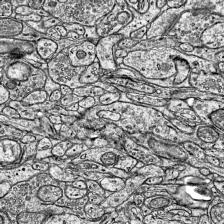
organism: Mouse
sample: Visual Cortex